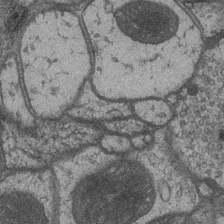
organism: Drosophila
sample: Optic medulla